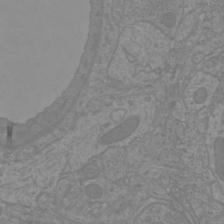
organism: Mouse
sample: Cortical neurons